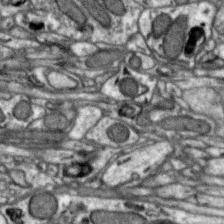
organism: Zebra finch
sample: Brain